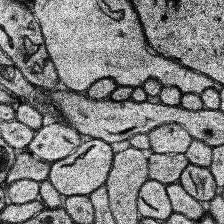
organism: Human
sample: Temporal Lobe